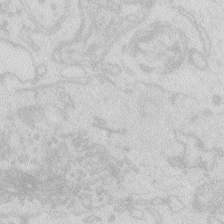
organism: Zebrafish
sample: Macrophage